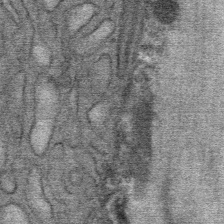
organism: Mouse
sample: Mouse Salivary gland